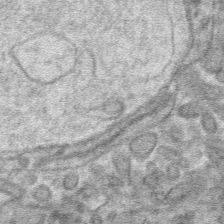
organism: Mouse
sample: Mouse hepatocytes